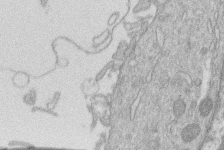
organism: Human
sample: Macrophage cells